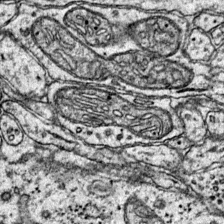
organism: Mouse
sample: Primary visual cortex